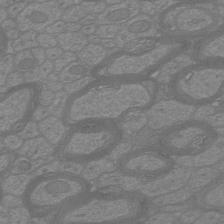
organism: Mouse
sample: Cortical neurons